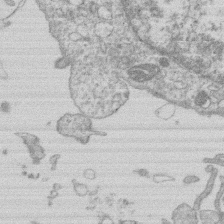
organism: Human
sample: Macrophage cells